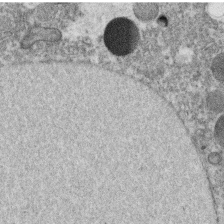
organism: C. elegans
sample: C. elegans oocyte; sperm cells